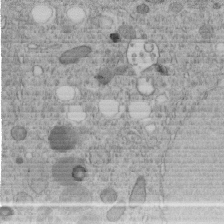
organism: C. elegans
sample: C. elegans embryo early stage